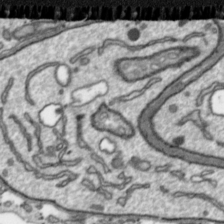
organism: Toxoplasma gondii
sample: Parasites in a vacuole inside a host cell